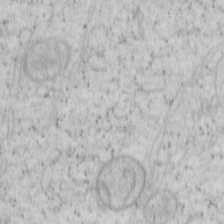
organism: Human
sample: HeLa cells